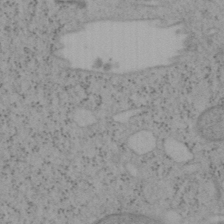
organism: Mouse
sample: OT-I killer T cells with ID8 ovarian cancer cells